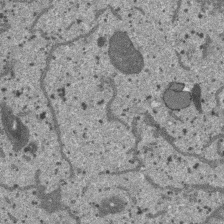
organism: Human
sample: Lung epithelial cells infected with SARS-CoV-2